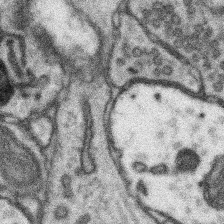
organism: Mouse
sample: Somatosensory cortex neuropil